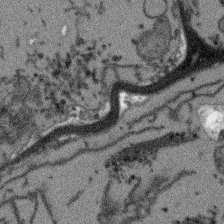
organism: Arabidopsis thaliana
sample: Root tip